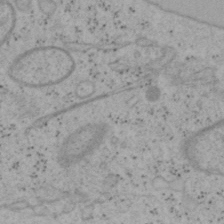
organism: Human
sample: HeLa cells